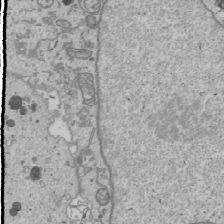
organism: Human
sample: Mitochondria in U2OS cells